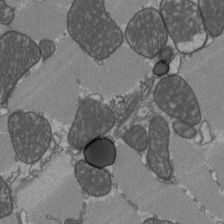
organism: C57BL Mouse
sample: Heart